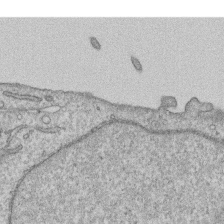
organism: Human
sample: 1205lu cells